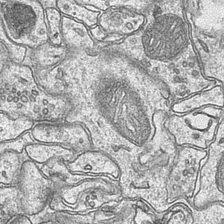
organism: Mouse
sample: CA1 Hippocampus